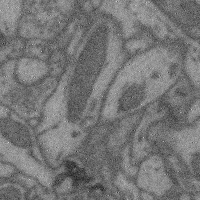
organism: Mouse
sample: Cerebral cortex